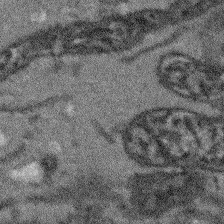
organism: Arabidopsis thaliana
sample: Root tip